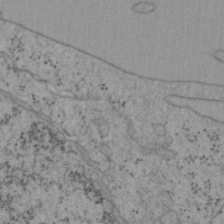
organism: Human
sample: HeLa cells